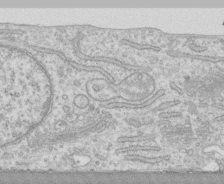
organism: Human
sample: CRL-1474